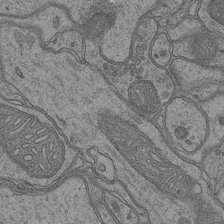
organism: Mouse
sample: CA1 Hippocampus